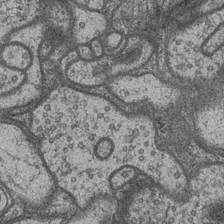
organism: Drosophila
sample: Optic medulla